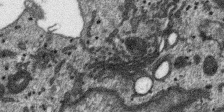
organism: Human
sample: Lung epithelial cells infected with SARS-CoV-2